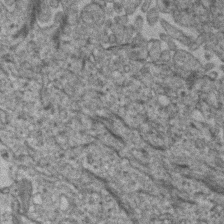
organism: Human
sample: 1205lu cells